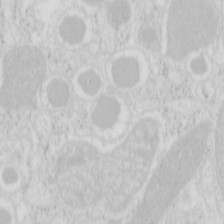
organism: Mouse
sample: Pancreas